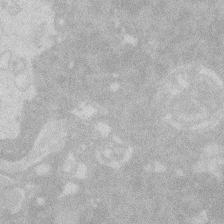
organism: Zebrafish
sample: Macrophage